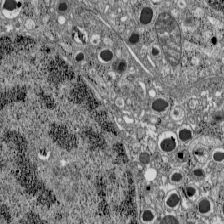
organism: C57BL Mouse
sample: Pancreatic islet